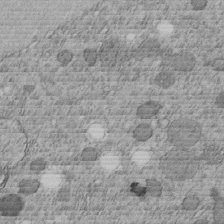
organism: C. elegans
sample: C. elegans embryo early stage